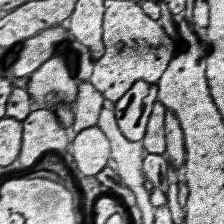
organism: Human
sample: Temporal Lobe